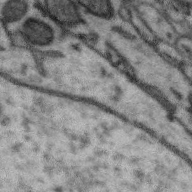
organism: Zebra finch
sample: Brain